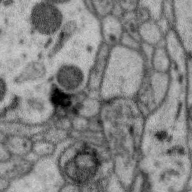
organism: Zebra finch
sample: Brain